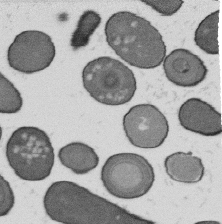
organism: B. subtilis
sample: Bacterial spore